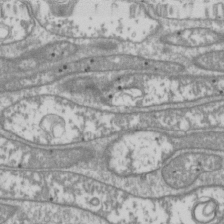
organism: Drosophila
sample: Cell division; meiosis; drosophila spermatocytes